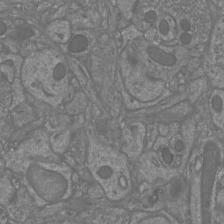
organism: Mouse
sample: Cortical neurons